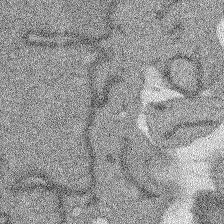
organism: Human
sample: HeLa cells